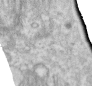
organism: Human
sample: Centriole in RPE cells